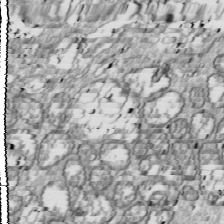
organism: Drosophila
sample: Cell division; meiosis; drosophila spermatocytes